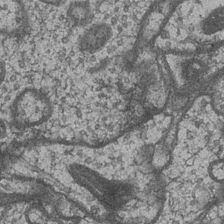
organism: Drosophila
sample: Optic medulla